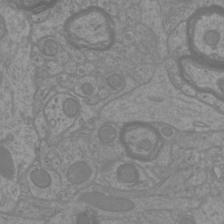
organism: Mouse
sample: Cortical neurons